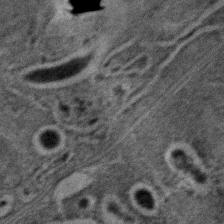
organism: C. elegans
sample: C. elegans embryo